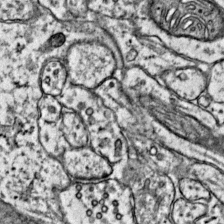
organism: Mouse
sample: Primary visual cortex